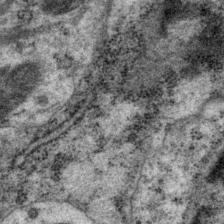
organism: P. pacificus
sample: Pharynx